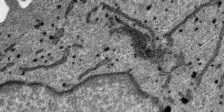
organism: Human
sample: Lung epithelial cells, uninfected (mock) control